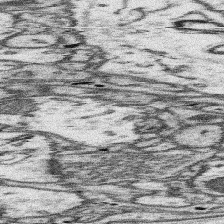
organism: Mouse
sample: Somatosensory cortex neuropil